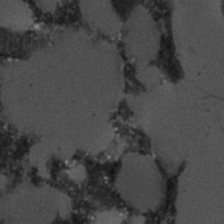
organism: C. elegans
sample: C. elegans embryo